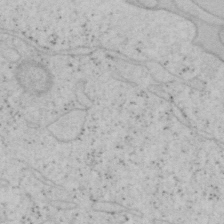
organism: Human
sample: HeLa cells